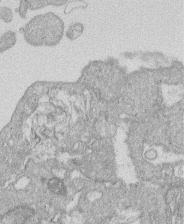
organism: Human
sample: Macrophage cells